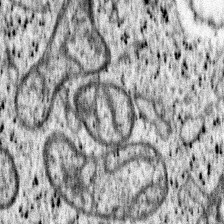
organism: Human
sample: HeLa cells